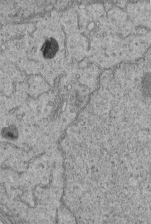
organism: Human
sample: Retinal organoid Rod and Cone cells